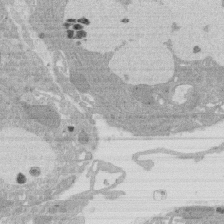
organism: Rat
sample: Salivary granule